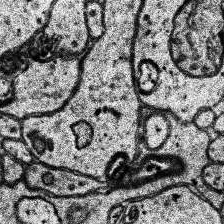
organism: Human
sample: Temporal Lobe